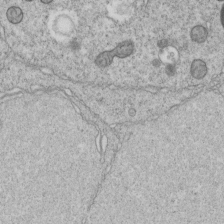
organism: C. elegans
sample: C. elegans embryo early stage